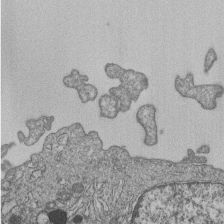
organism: Human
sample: MDA-MB-231 cells